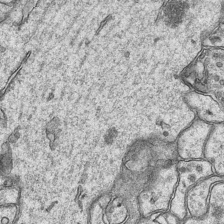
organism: Mouse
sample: CA1 Hippocampus